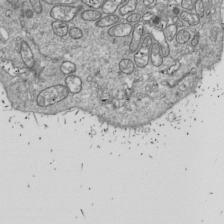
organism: Drosophila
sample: Cell division; meiosis; drosophila spermatocytes